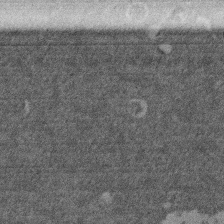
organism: Mouse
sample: Dividing mouse embryo 1 cell stage